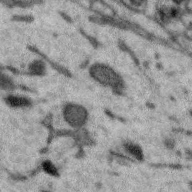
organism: Zebra finch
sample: Brain